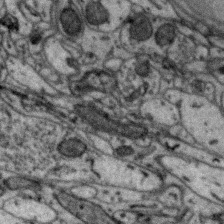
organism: Zebra finch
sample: Brain